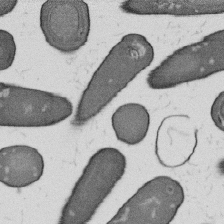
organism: B. subtilis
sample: Bacterial spore